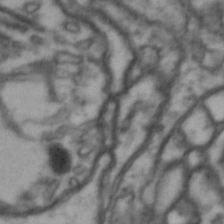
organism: Drosophila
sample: Brain